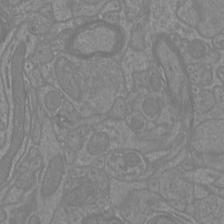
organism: Mouse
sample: Cortical neurons